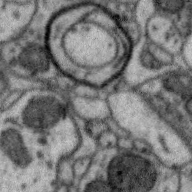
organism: Zebra finch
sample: Brain